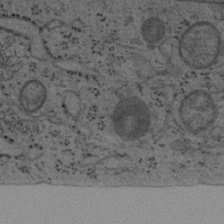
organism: Human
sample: HeLa cells